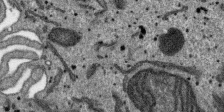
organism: Human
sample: Lung epithelial cells, uninfected (mock) control